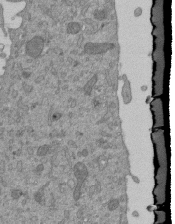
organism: Mouse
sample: ED-1 cell nuclei; centrioles